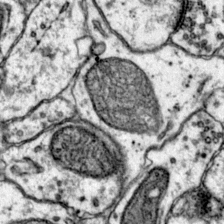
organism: Mouse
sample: Primary visual cortex